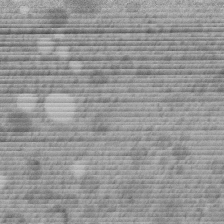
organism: C. elegans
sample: C. elegans embryo early stage